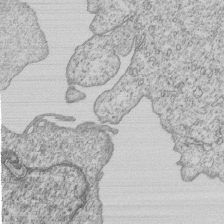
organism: Human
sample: MDA-MB-231 cells